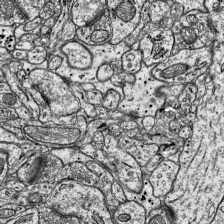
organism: Mouse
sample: Visual Cortex